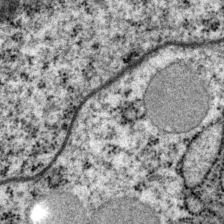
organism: P. pacificus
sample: Pharynx